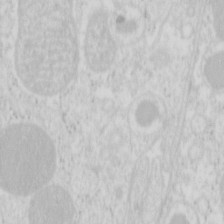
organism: Mouse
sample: Pancreas